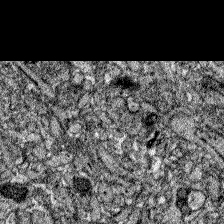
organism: Zebrafish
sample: Larval olfactory bulb